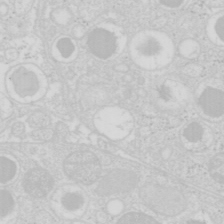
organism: Mouse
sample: Pancreas